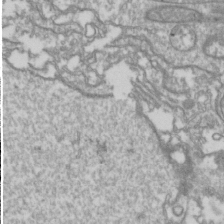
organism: Drosophila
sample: Cell division; meiosis; drosophila spermatocytes